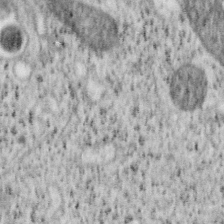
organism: Mouse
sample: OT-I killer T cells with ID8 ovarian cancer cells